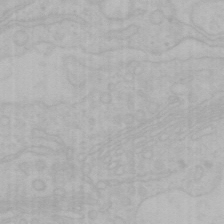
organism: Mouse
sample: Choroid plexus